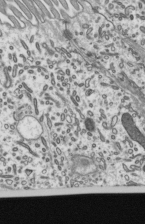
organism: Mouse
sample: Mouse epididymis efferent ductule cilia